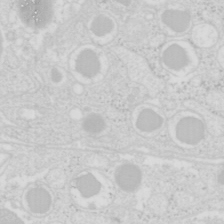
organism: Mouse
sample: Pancreas